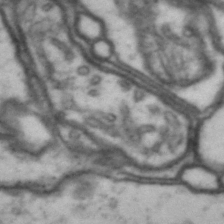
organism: Drosophila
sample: Brain